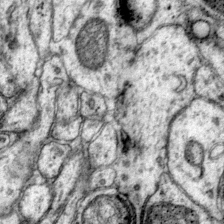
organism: Mouse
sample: Primary visual cortex